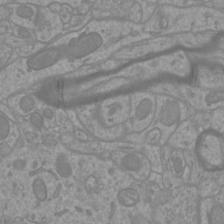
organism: Mouse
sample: Cortical neurons